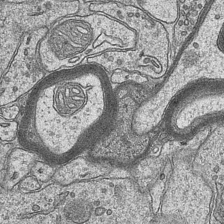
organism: Mouse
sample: CA1 Hippocampus